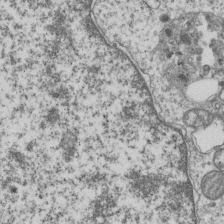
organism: Human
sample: MDA-MB-231 cells